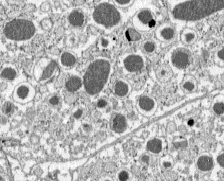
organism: C57BL Mouse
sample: Pancreatic islet